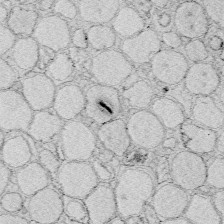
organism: Zebrafish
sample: Whole-Brain